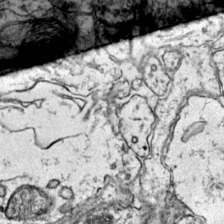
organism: Mouse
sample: Primary visual cortex